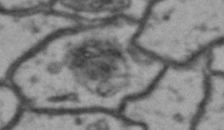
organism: Drosophila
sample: Brain